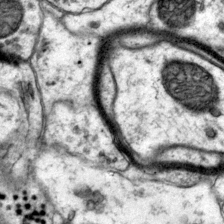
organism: Mouse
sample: Primary visual cortex